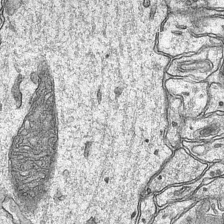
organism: Mouse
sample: CA1 Hippocampus